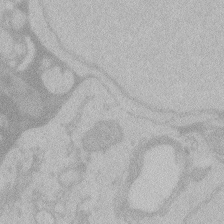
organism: Zebrafish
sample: Macrophage infected with Toxoplasma gondii